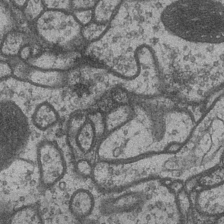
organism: Drosophila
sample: Optic medulla